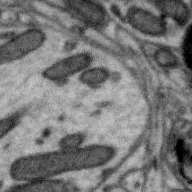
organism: Zebra finch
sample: Brain